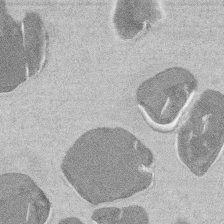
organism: Mouse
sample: T cell stromal cell synapse